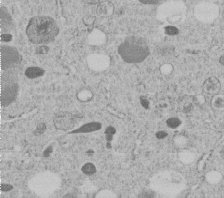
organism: C. elegans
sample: C. elegans embryo early stage